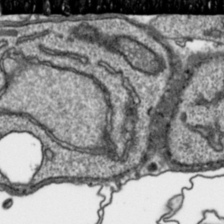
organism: Toxoplasma gondii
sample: Parasites in a vacuole inside a host cell